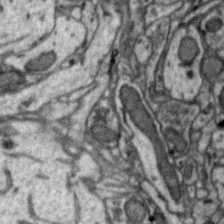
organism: Zebra finch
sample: Brain